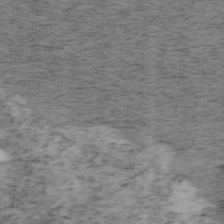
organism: Mouse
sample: OT-I killer T cells with ID8 ovarian cancer cells